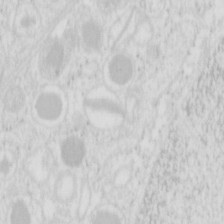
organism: Mouse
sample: Pancreas